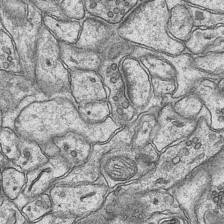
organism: Mouse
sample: CA1 Hippocampus